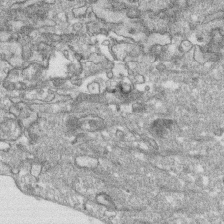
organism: Human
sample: CRL-1474